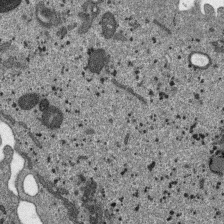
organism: Human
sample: Lung epithelial cells infected with SARS-CoV-2